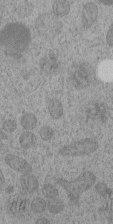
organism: C. elegans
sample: C. elegans embryo early stage